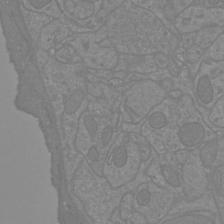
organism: Mouse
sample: Cortical neurons